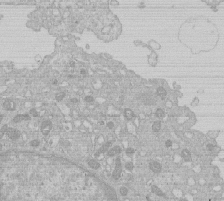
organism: Human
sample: Macrophage cells